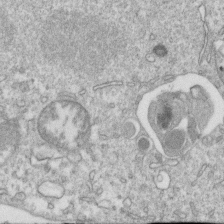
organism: Mouse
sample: Activated OT-1 CD8+ T cells